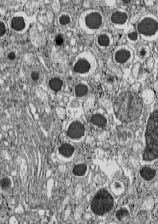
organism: C57BL Mouse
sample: Pancreatic islet